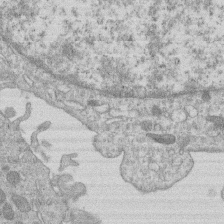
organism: Human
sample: Macrophage cells